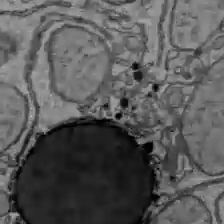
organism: C57BL Mouse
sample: Liver